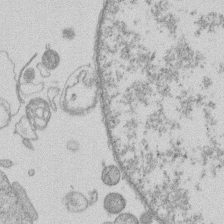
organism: Human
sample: Macrophage cells